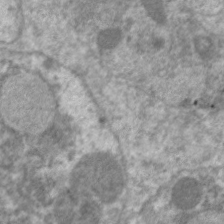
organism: C. elegans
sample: Pharynx